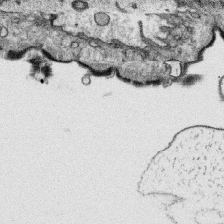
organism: Platynereis dumerilii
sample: Parapodia